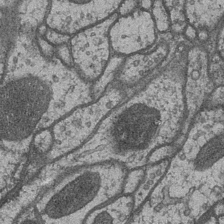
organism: Drosophila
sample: Optic medulla